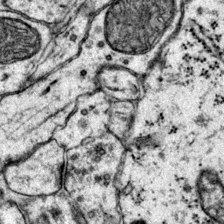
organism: Mouse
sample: Primary visual cortex